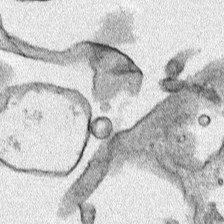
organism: Human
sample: Mitochondria in HCT116 cells